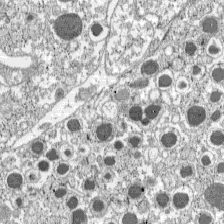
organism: C57BL Mouse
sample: Pancreatic islet